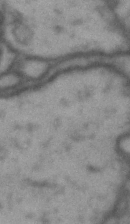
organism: Drosophila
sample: Brain